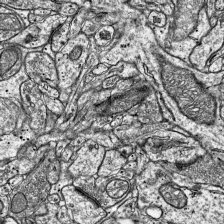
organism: Mouse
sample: Visual Cortex